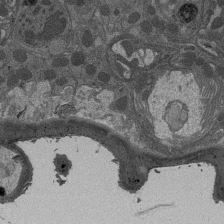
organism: Drosophila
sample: Antenna